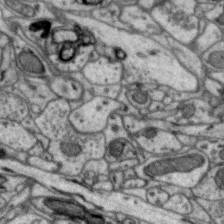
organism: Zebra finch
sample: Brain